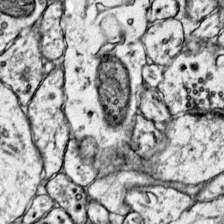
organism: Mouse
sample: Primary visual cortex